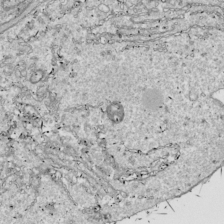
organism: Drosophila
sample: Cell division; meiosis; drosophila spermatocytes